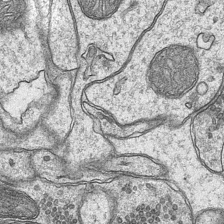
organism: Mouse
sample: CA1 Hippocampus